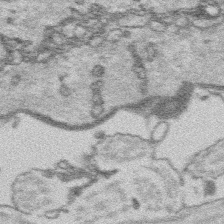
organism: Platynereis dumerilii